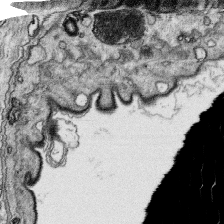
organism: Platynereis dumerilii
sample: Parapodia